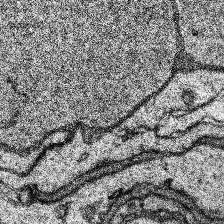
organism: Human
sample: Temporal Lobe